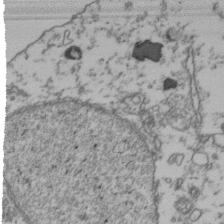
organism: Human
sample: Activated Jurkat CD4+ T cells